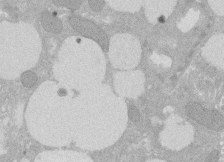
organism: Rat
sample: Salivary granule